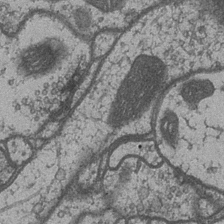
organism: Drosophila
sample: Optic medulla